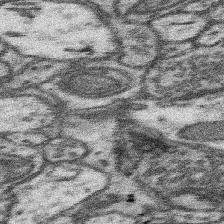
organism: Mouse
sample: Somatosensory cortex neuropil